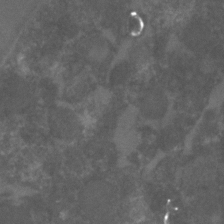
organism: C. elegans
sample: C. elegans embryo